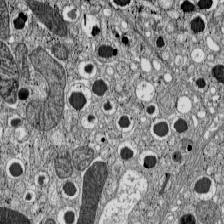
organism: C57BL Mouse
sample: Pancreatic islet